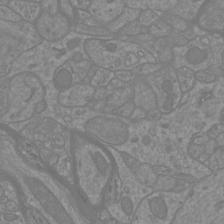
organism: Mouse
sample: Cortical neurons